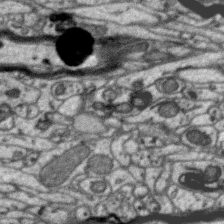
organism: Zebra finch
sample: Brain